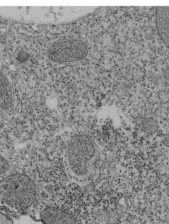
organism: Tetrahymena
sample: Cilia in tetrahymena